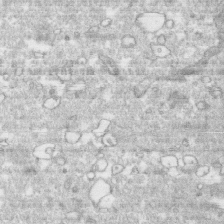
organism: Human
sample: CRL-1474